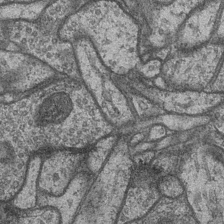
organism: Drosophila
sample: Optic medulla